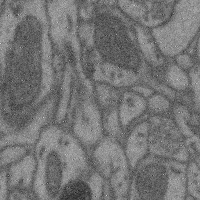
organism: Mouse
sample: Cerebral cortex